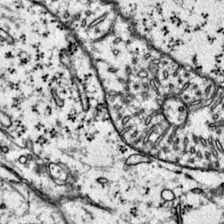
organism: Mouse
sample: Primary visual cortex